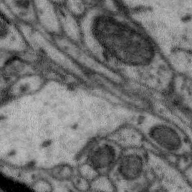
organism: Zebra finch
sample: Brain